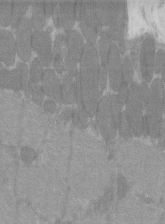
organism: C57BL Mouse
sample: Tibialis anterior muscle cell